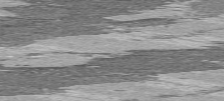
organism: C57BL Mouse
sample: Heart